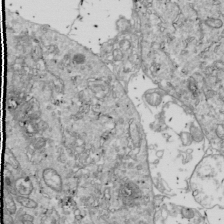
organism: Drosophila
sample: Cell division; meiosis; drosophila spermatocytes